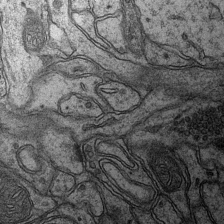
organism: Mouse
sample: CA1 Hippocampus